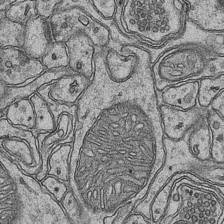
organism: Mouse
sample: CA1 Hippocampus